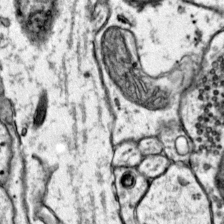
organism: Mouse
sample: Primary visual cortex